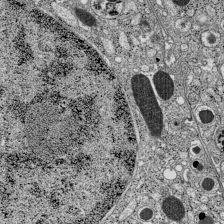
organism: C57BL Mouse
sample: Pancreatic islet